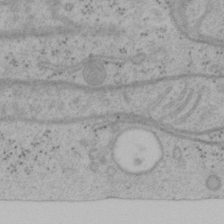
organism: Human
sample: HeLa cells